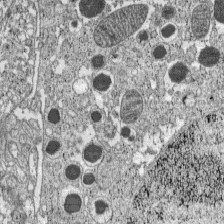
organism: C57BL Mouse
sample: Pancreatic islet